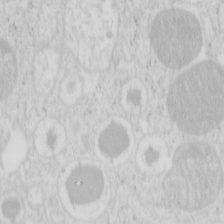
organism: Mouse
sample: Pancreas